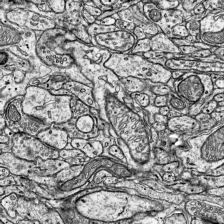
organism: Mouse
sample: Visual Cortex